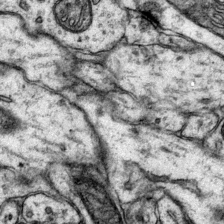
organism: Mouse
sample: Primary visual cortex